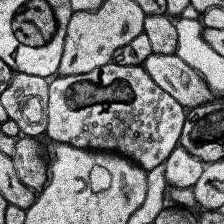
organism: Human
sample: Temporal Lobe